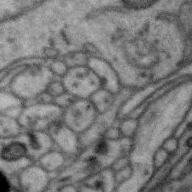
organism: Zebra finch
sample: Brain